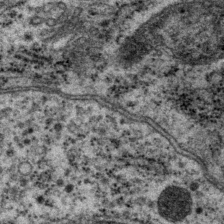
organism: P. pacificus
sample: Pharynx